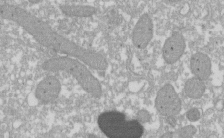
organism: Xenopus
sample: Cilia; centrioles in frog embryo cells